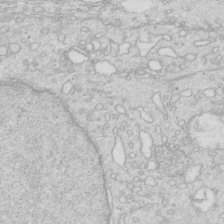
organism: Mouse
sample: Multiciliated cells